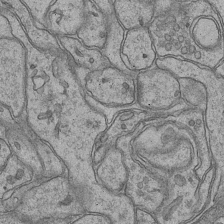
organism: Mouse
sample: CA1 Hippocampus